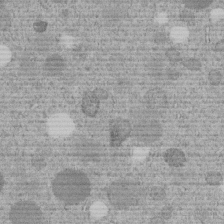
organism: C. elegans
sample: C. elegans embryo early stage